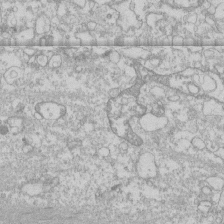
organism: Human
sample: CRL-1474